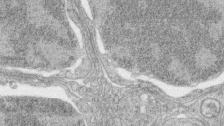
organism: Zebrafish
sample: synaptic ribbons in rod cells and cone cells